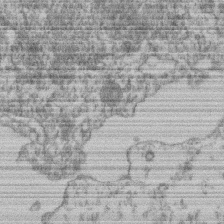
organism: Mouse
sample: T cell stromal cell synapse